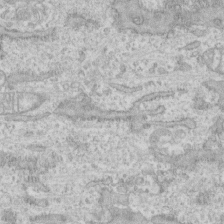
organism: Human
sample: CRL-1474